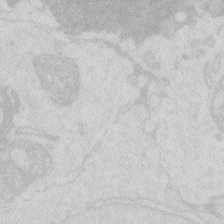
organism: Zebrafish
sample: Macrophage